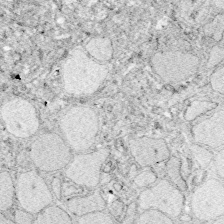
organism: Zebrafish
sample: Whole-Brain